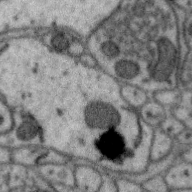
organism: Zebra finch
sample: Brain